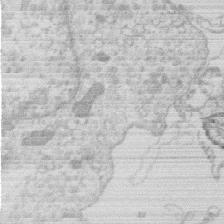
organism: Human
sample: Macrophage cells